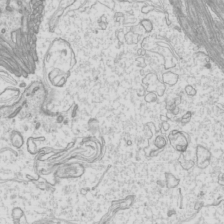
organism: Mouse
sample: Cilia; mouse epididymis